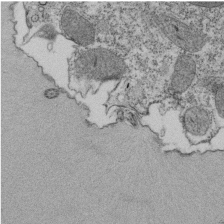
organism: Tetrahymena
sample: Cilia in tetrahymena